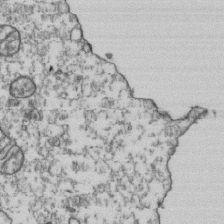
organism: Human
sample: Activated Jurkat CD4+ T cells